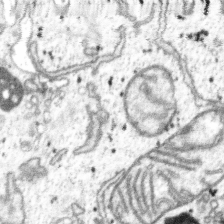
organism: Human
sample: HeLa cells